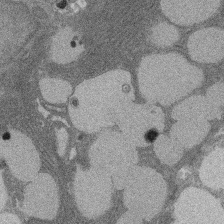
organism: Rat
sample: Salivary granule